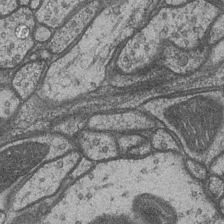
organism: Drosophila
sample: Optic medulla